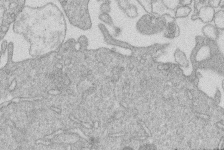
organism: Human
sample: Macrophage cells